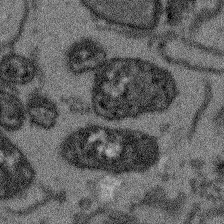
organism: Arabidopsis thaliana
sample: Root tip